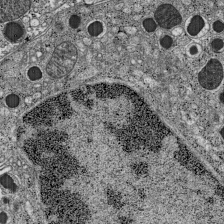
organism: C57BL Mouse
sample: Pancreatic islet